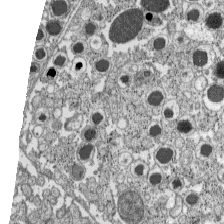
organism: C57BL Mouse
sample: Pancreatic islet